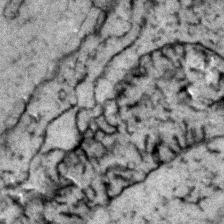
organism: Zebrafish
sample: Zebrafish embryo